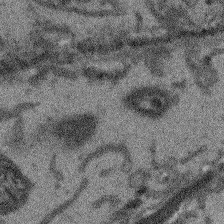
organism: Arabidopsis thaliana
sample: Root tip